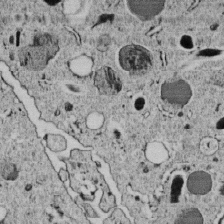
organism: C. elegans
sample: C. elegans embryo early stage